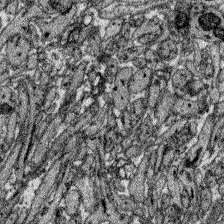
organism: Zebrafish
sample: Larval olfactory bulb